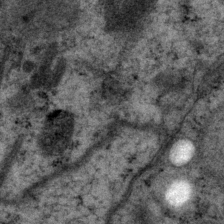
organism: P. pacificus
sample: Pharynx